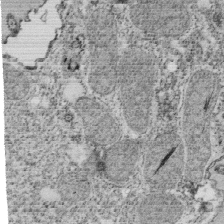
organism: Tetrahymena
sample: Cilia in tetrahymena